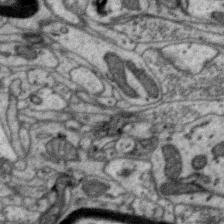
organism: Zebra finch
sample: Brain